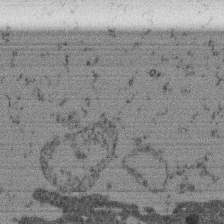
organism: Mouse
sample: Dividing mouse embryo 1 cell stage